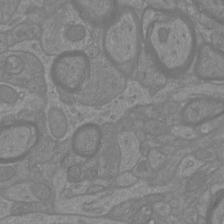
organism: Mouse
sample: Cortical neurons